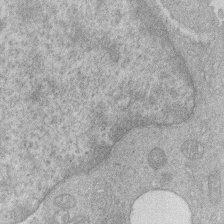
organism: Human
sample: Macrophage cells